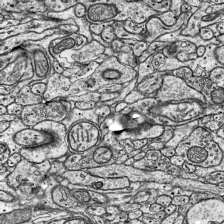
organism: Mouse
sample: Visual Cortex